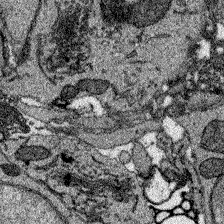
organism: Zebrafish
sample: Larval olfactory bulb